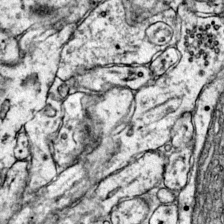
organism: Mouse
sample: Primary visual cortex